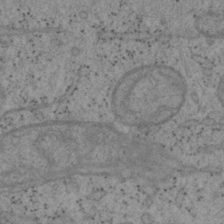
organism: Human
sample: HeLa cells